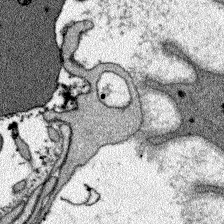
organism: Zebrafish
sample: Larval olfactory bulb